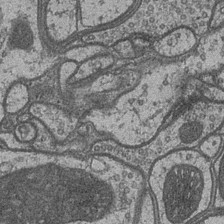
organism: Drosophila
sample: Optic medulla